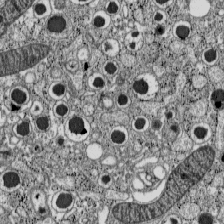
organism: C57BL Mouse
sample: Pancreatic islet